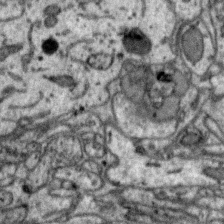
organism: Zebra finch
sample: Brain